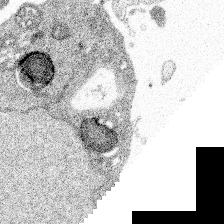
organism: Spongilla lacustris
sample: Multiple